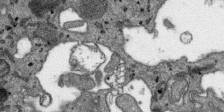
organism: Human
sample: Lung epithelial cells, uninfected (mock) control